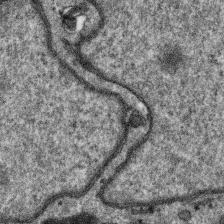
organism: Human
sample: Lung epithelial cells infected with SARS-CoV-2